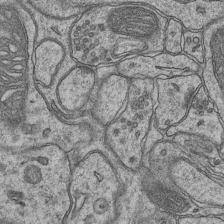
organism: Mouse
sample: CA1 Hippocampus